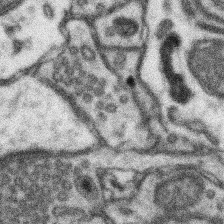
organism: Mouse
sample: Somatosensory cortex neuropil